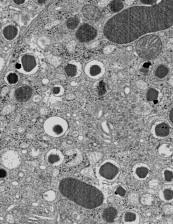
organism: C57BL Mouse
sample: Pancreatic islet